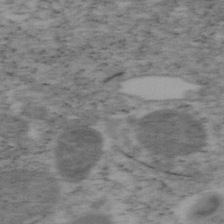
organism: Mouse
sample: OT-I killer T cells with ID8 ovarian cancer cells